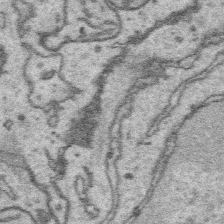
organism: Platynereis dumerilii